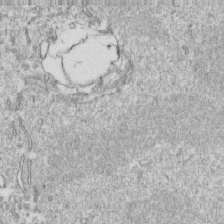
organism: Mouse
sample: Activated OT-1 CD8+ T cells